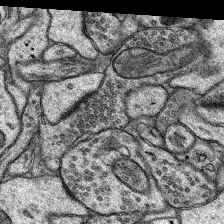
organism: Rat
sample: Hippocampus